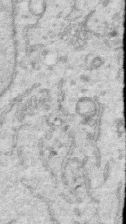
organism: Human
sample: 1205lu cells